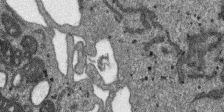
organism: Human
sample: Lung epithelial cells infected with SARS-CoV-2